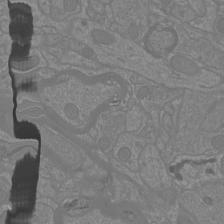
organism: Mouse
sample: Cortical neurons